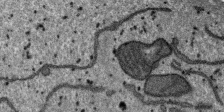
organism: Human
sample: Lung epithelial cells, uninfected (mock) control